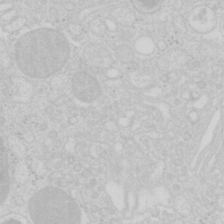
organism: Mouse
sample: Pancreas